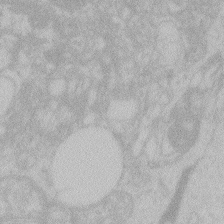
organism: Zebrafish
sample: Macrophage infected with Toxoplasma gondii